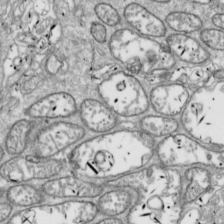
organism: Drosophila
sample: Cell division; meiosis; drosophila spermatocytes